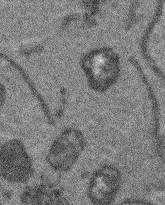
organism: Arabidopsis thaliana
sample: Root tip